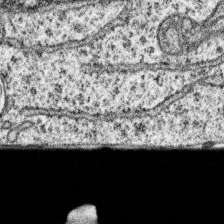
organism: Human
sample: HeLa cells